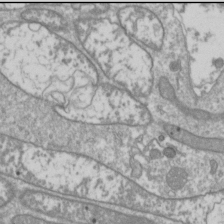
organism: Drosophila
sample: Cell division; meiosis; drosophila spermatocytes